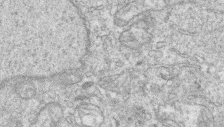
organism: Human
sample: HeLa cell HIV synapse